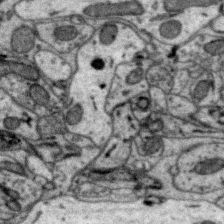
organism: Zebra finch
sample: Brain